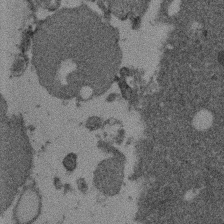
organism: Mouse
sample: Dividing mouse embryo 1 cell stage